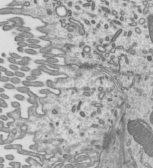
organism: Mouse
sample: Mouse epididymis efferent ductule cilia